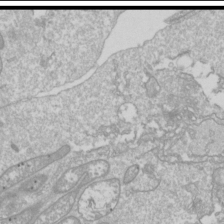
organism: Drosophila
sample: Cell division; meiosis; drosophila spermatocytes